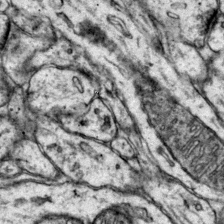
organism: Mouse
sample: Primary visual cortex